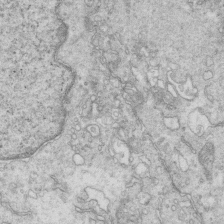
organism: Mouse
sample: Multiciliated cells